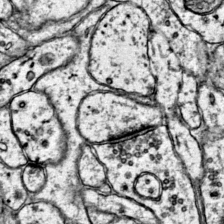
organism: Mouse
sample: Primary visual cortex